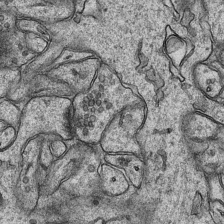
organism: Mouse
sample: CA1 Hippocampus